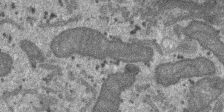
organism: Human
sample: Lung epithelial cells infected with SARS-CoV-2